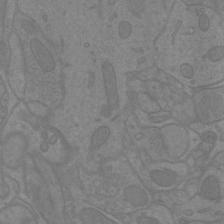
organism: Mouse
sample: Cortical neurons